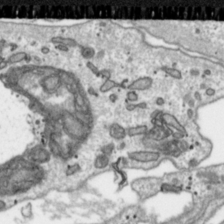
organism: Toxoplasma gondii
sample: Parasites in a vacuole inside a host cell